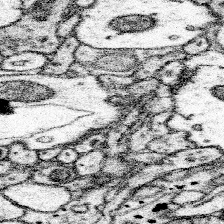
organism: Mouse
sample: Somatosensory cortex neuropil